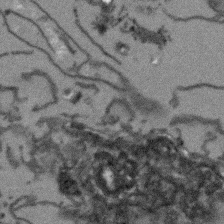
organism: Arabidopsis thaliana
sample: Root tip